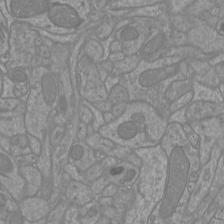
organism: Mouse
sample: Cortical neurons